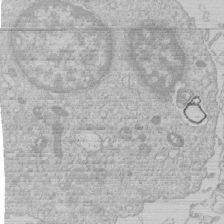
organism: Human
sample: Macrophage cells